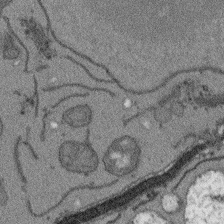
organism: Arabidopsis thaliana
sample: Root tip